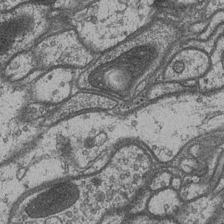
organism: Drosophila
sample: Optic medulla